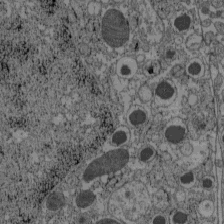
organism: C57BL Mouse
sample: Pancreatic islet